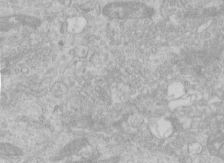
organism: Human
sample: Centriole in RPE cells